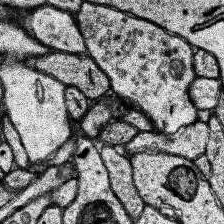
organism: Human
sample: Temporal Lobe